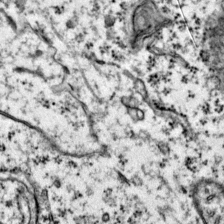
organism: Mouse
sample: Primary visual cortex